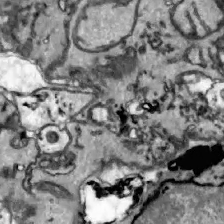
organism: Zebrafish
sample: Actinotrichia fibers